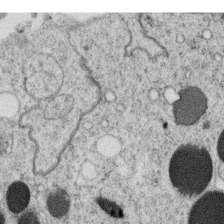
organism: C. elegans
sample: C. elegans oocyte; sperm cells